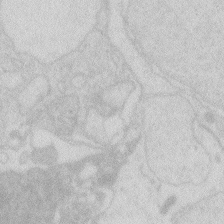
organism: Zebrafish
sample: Macrophage